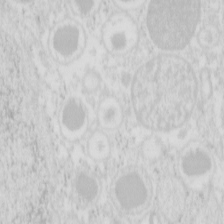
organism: Mouse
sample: Pancreas